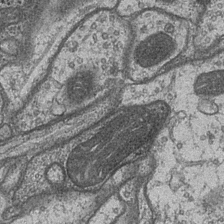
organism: Drosophila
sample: Optic medulla